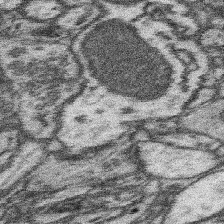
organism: Mouse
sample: Somatosensory cortex neuropil